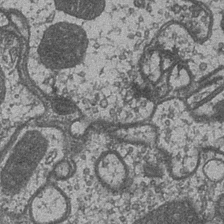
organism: Drosophila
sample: Optic medulla